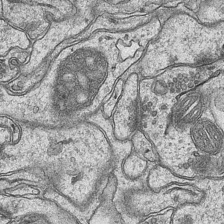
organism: Mouse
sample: CA1 Hippocampus